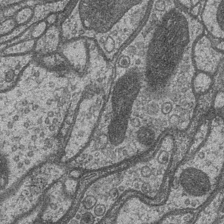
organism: Drosophila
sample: Optic medulla